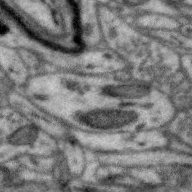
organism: Zebra finch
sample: Brain